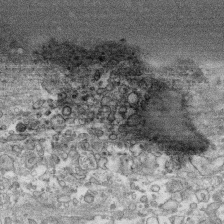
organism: Human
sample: CRL-1474